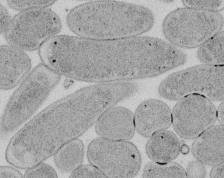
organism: E. coli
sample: Bacterial nucleoid